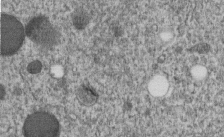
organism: C. elegans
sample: C. elegans embryo early stage